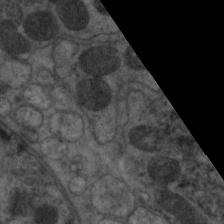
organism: C. elegans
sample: Pharynx